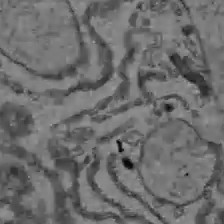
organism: C57BL Mouse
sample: Liver